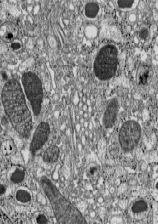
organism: C57BL Mouse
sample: Pancreatic islet